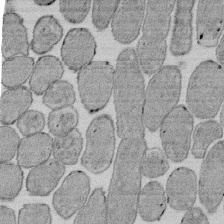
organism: E. coli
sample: Bacterial nucleoid